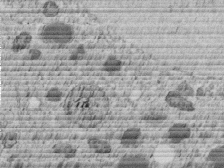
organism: C. elegans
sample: C. elegans embryo early stage